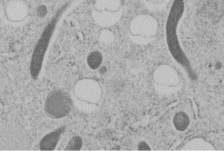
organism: C. elegans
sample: C. elegans embryo early stage